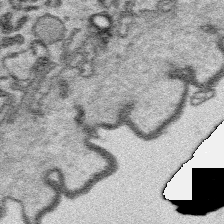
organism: Platynereis dumerilii